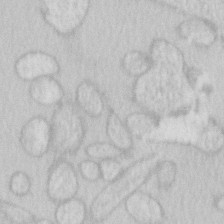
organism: Human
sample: HeLa cells